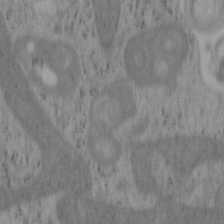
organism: Mouse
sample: OT-I killer T cells with ID8 ovarian cancer cells